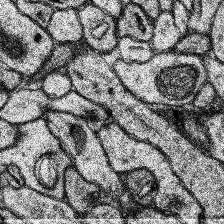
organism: Human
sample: Temporal Lobe